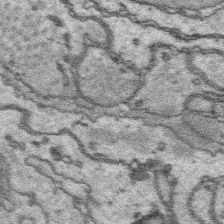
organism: Platynereis dumerilii